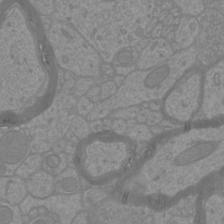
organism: Mouse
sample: Cortical neurons